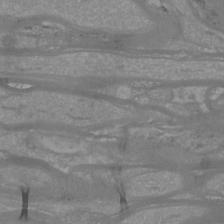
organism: Mouse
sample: Cortical neurons